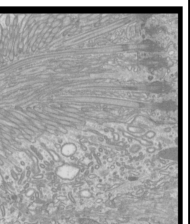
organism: Mouse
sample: Cilia; mouse epididymis